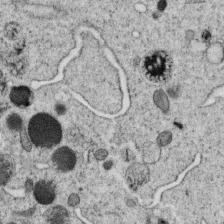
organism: C. elegans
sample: C. elegans oocyte; sperm cells